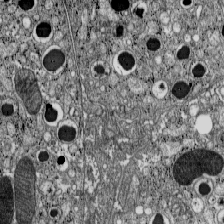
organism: C57BL Mouse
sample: Pancreatic islet